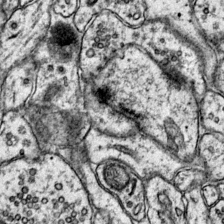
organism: Mouse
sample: Primary visual cortex